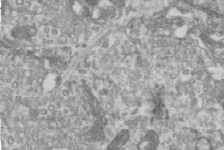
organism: Human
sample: Centriole in RPE cells